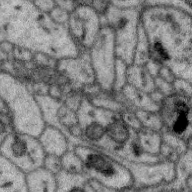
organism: Zebra finch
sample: Brain